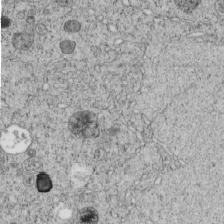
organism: C. elegans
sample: C. elegans embryo early stage